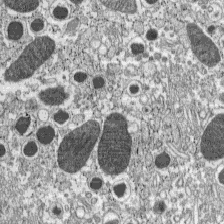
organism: C57BL Mouse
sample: Pancreatic islet